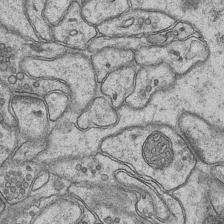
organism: Mouse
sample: CA1 Hippocampus